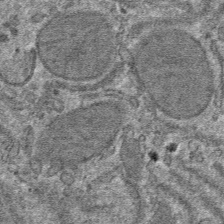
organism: Mouse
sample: Mouse hepatocytes